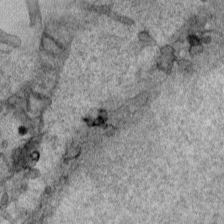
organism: Human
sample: Mitochondria in HCT116 cells